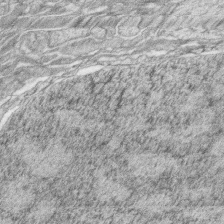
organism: Zebrafish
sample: synaptic ribbons in rod cells and cone cells